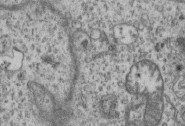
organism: Mouse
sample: Centriole in ependymal cells